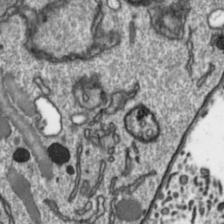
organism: Toxoplasma gondii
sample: Parasites in a vacuole inside a host cell